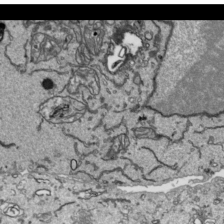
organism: Human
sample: Mitochondria in HCT116 cells